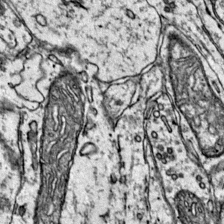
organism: Mouse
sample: Primary visual cortex